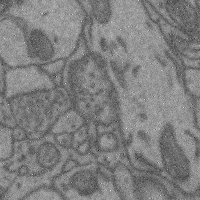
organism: Mouse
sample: Cerebral cortex